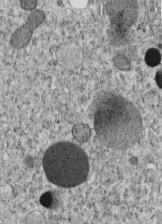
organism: C. elegans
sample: C. elegans embryo early stage